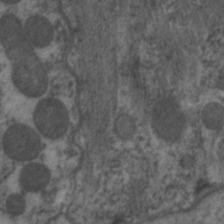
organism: C. elegans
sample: Pharynx